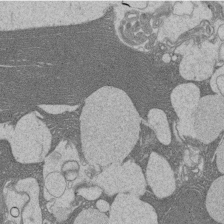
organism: Rat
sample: Salivary granule